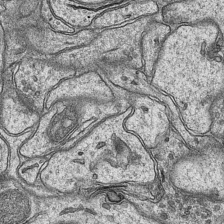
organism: Mouse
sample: CA1 Hippocampus